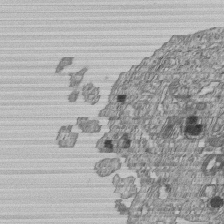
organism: Human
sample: MDA-MB-231 cells